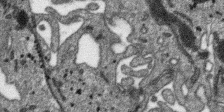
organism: Human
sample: Lung epithelial cells infected with SARS-CoV-2